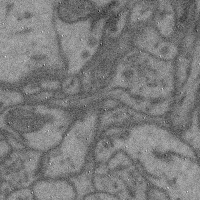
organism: Mouse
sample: Cerebral cortex